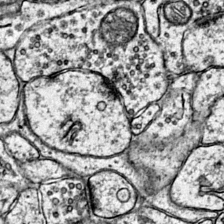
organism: Mouse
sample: Primary visual cortex